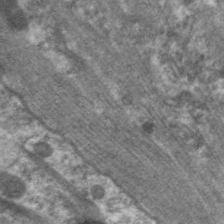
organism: C. elegans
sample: Pharynx